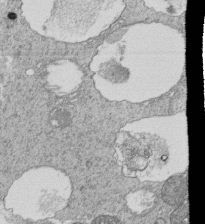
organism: Tetrahymena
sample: Cilia in tetrahymena